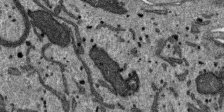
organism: Human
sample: Lung epithelial cells, uninfected (mock) control